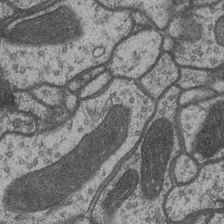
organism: Drosophila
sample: Optic medulla